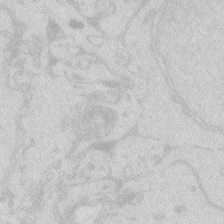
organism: Zebrafish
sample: Macrophage